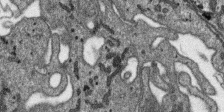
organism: Human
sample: Lung epithelial cells infected with SARS-CoV-2